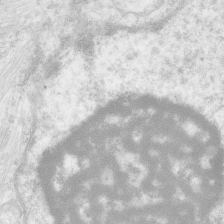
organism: Human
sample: Neocortex